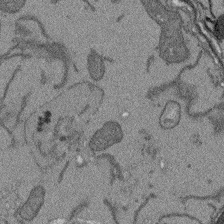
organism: Arabidopsis thaliana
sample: Root tip